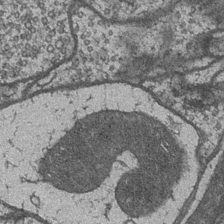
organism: Drosophila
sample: Optic medulla